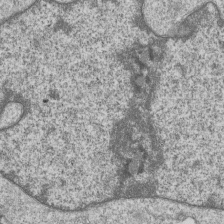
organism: Human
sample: MDA-MB-231 cells